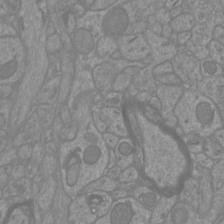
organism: Mouse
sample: Cortical neurons